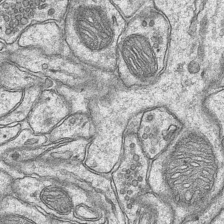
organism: Mouse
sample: CA1 Hippocampus